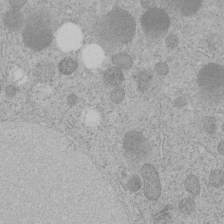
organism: C. elegans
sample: C. elegans embryo early stage